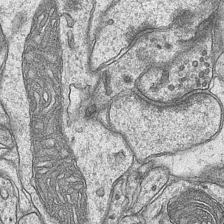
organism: Mouse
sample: CA1 Hippocampus